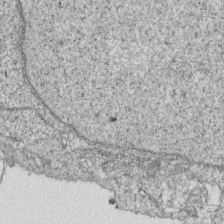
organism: Human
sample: HeLa cell HIV synapse